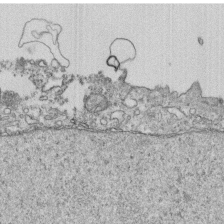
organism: Human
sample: HeLa cell HIV synapse